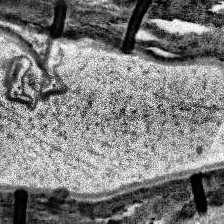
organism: Human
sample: Temporal Lobe